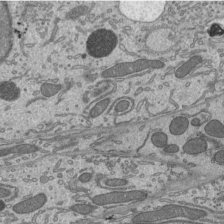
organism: Mouse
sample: Mouse epididymis efferent ductule cilia